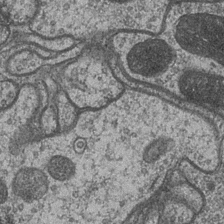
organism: Drosophila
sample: Optic medulla